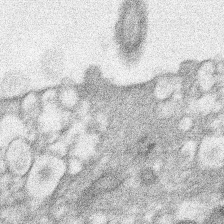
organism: Xenopus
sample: Cilia; centrioles in frog embryo cells